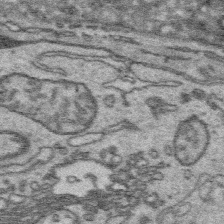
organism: Platynereis dumerilii